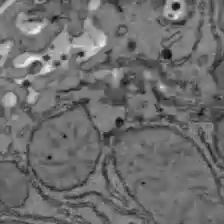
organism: C57BL Mouse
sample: Liver